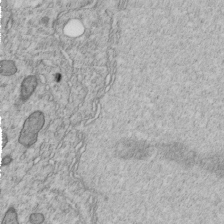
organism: C. elegans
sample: C. elegans embryo early stage